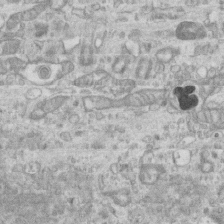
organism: Mouse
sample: Centriole in ependymal cells